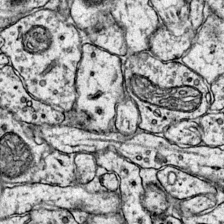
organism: Mouse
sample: Primary visual cortex